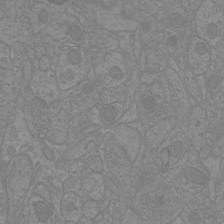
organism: Mouse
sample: Cortical neurons